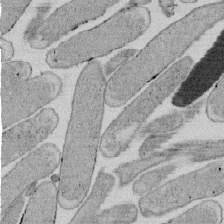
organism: E. coli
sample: Bacterial nucleoid